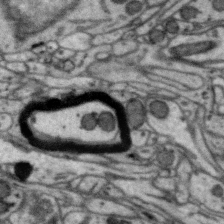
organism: Zebra finch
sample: Brain